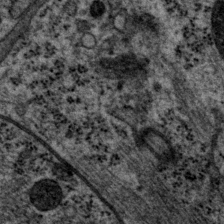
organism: P. pacificus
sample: Pharynx